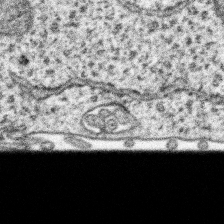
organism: Human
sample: HeLa cells